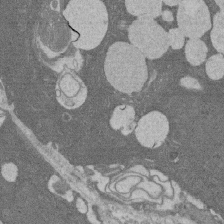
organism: Rat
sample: Salivary granule